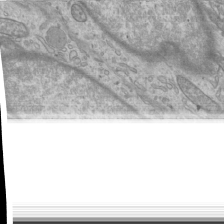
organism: Mouse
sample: Cilia; mouse epididymis